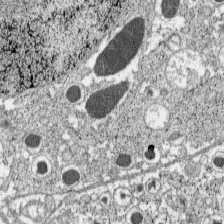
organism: C57BL Mouse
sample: Pancreatic islet